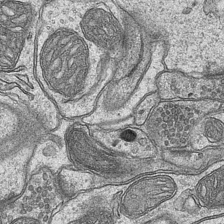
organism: Mouse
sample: CA1 Hippocampus